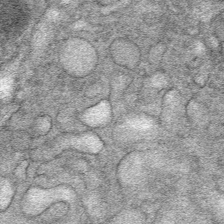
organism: Mouse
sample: Mouse Salivary gland